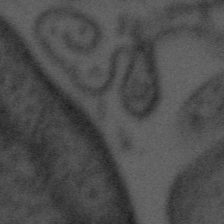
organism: Tuwongella immobilis